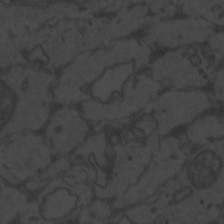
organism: Zebrafish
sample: Macrophage infected with Toxoplasma gondii